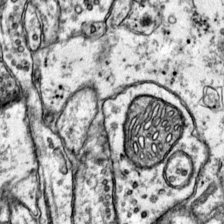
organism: Mouse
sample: Primary visual cortex